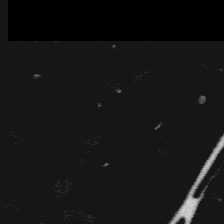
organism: Platynereis dumerilii